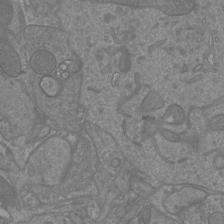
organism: Mouse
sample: Cortical neurons